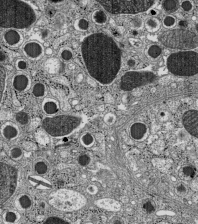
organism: C57BL Mouse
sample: Pancreatic islet